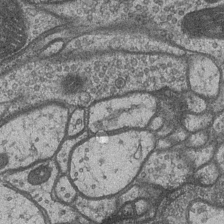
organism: Drosophila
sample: Optic medulla